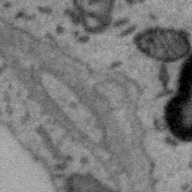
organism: Zebra finch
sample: Brain